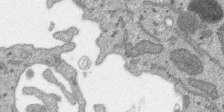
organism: Human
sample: Lung epithelial cells infected with SARS-CoV-2